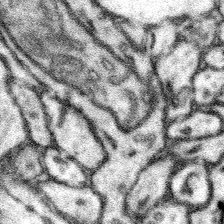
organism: Mouse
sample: Somatosensory cortex neuropil